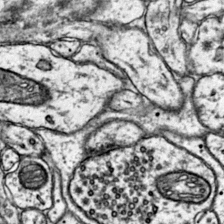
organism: Mouse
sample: Primary visual cortex